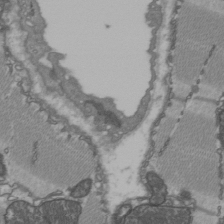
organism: C57BL Mouse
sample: Heart